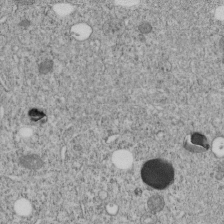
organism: C. elegans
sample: C. elegans embryo early stage